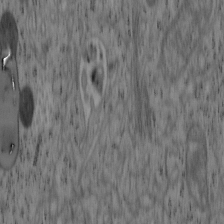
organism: Human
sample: HeLa cells